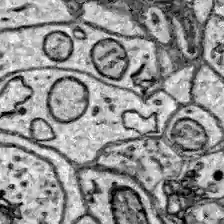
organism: Zebrafish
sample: Brain